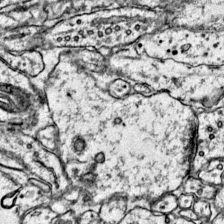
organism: Mouse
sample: Primary visual cortex